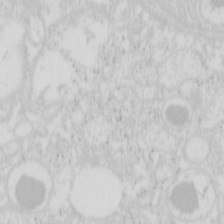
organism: Mouse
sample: Pancreas